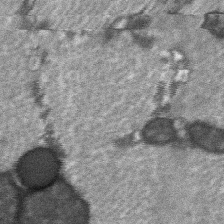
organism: C57BL Mouse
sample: Soleus